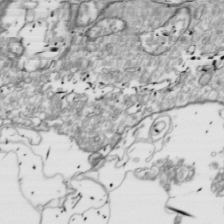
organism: Drosophila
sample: Cell division; meiosis; drosophila spermatocytes